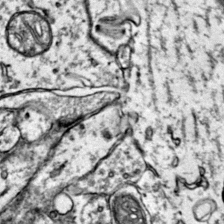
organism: Mouse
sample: Primary visual cortex